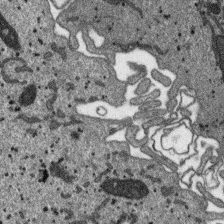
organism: Human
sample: Lung epithelial cells infected with SARS-CoV-2